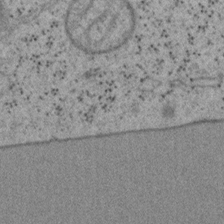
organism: Human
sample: HeLa cells